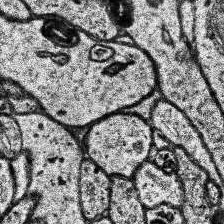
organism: Human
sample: Temporal Lobe